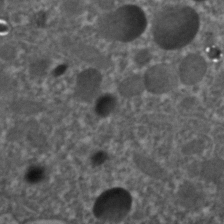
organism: C. elegans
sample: C. elegans embryo